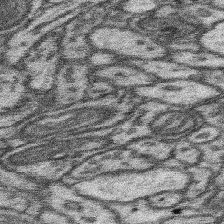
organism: Mouse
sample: Somatosensory cortex neuropil